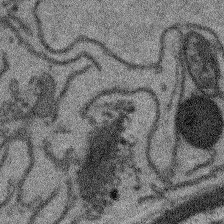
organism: Arabidopsis thaliana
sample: Root tip